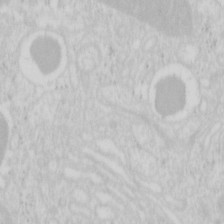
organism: Mouse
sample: Pancreas